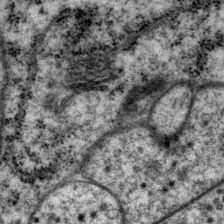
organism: P. pacificus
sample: Pharynx